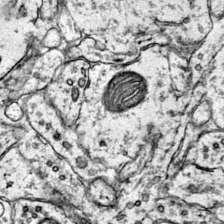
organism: Mouse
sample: Primary visual cortex